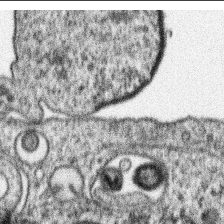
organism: Human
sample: HeLa cells